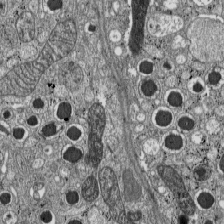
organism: C57BL Mouse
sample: Pancreatic islet